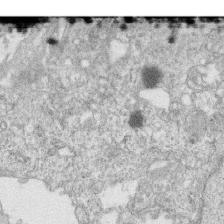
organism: Human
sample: HeLa cell HIV synapse